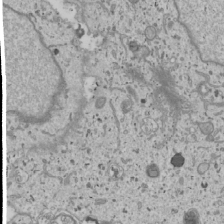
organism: Human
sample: Mitochondria in U2OS cells